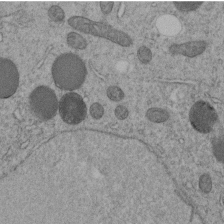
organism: C. elegans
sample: C. elegans embryo early stage